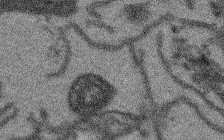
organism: Arabidopsis thaliana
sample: Root tip